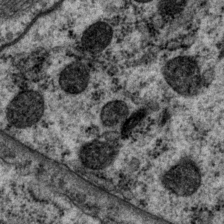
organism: P. pacificus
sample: Pharynx